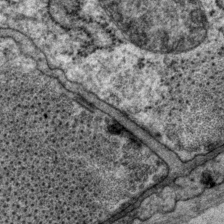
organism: P. pacificus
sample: Pharynx